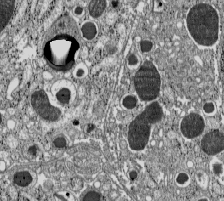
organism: C57BL Mouse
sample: Pancreatic islet